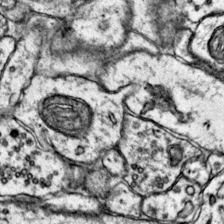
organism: Mouse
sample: Primary visual cortex